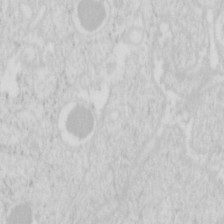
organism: Mouse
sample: Pancreas